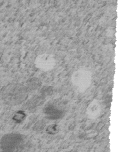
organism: C. elegans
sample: C. elegans embryo early stage